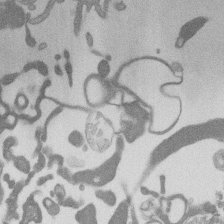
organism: Mouse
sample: Dividing mouse embryo 1 cell stage